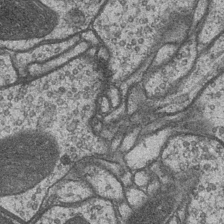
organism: Drosophila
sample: Optic medulla